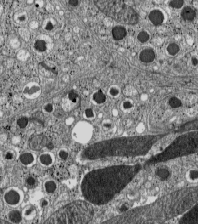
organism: C57BL Mouse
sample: Pancreatic islet